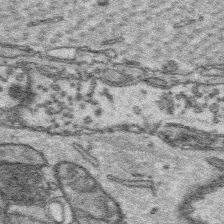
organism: Platynereis dumerilii